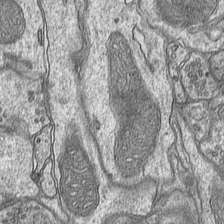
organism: Mouse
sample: CA1 Hippocampus